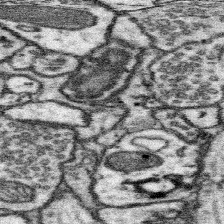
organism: Mouse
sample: Somatosensory cortex neuropil